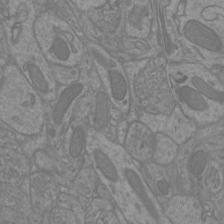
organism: Mouse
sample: Cortical neurons